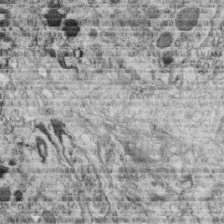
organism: C. elegans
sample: C. elegans oocyte; sperm cells